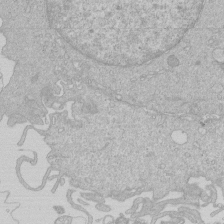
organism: Human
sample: Macrophage cells